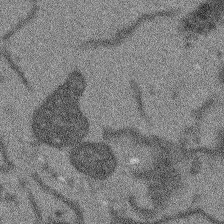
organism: Arabidopsis thaliana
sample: Root tip